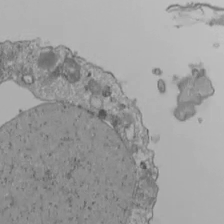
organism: Human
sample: Jurkat E6-1 and CD4 cells